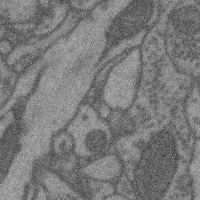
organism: Mouse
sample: Cerebral cortex